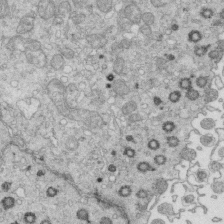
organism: Mouse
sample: Multiciliated cells